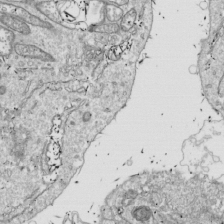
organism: Drosophila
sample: Cell division; meiosis; drosophila spermatocytes